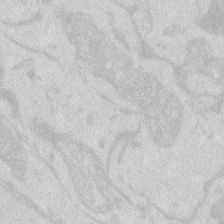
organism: Zebrafish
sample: Macrophage